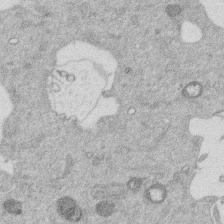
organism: Mouse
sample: Dividing mouse embryo 1 cell stage